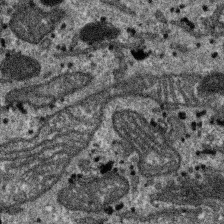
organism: Human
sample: Lung epithelial cells infected with SARS-CoV-2